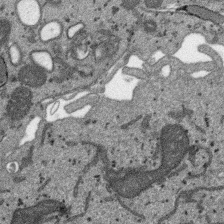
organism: Human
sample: Lung epithelial cells infected with SARS-CoV-2